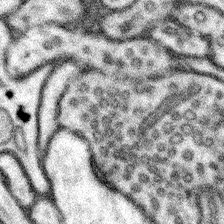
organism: Mouse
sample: Somatosensory cortex neuropil